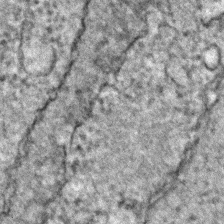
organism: Zebrafish